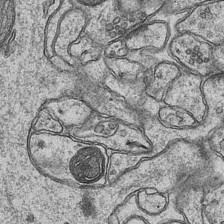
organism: Mouse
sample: CA1 Hippocampus